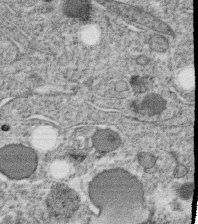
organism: C. elegans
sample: C. elegans oocyte; sperm cells